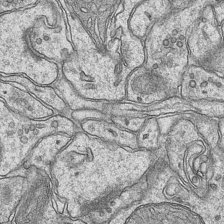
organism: Mouse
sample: CA1 Hippocampus